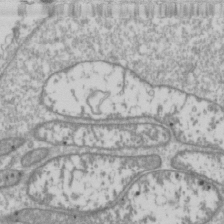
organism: Drosophila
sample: Cell division; meiosis; drosophila spermatocytes